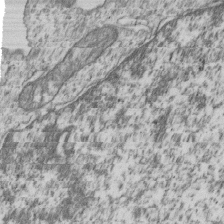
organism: Human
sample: MDA-MB-231 cells